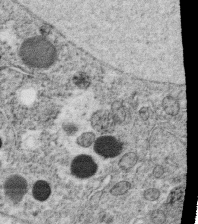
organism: C. elegans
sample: C. elegans oocyte; sperm cells